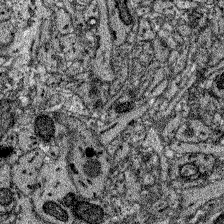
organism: Zebrafish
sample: Larval olfactory bulb